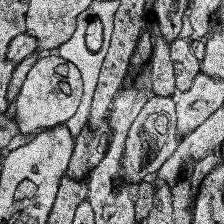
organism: Human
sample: Temporal Lobe